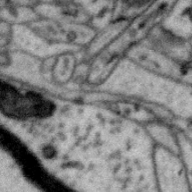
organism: Zebra finch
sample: Brain